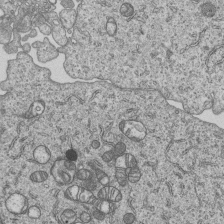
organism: Human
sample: MDA-MB-231 cells